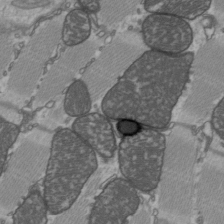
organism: C57BL Mouse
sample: Heart